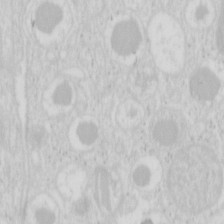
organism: Mouse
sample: Pancreas